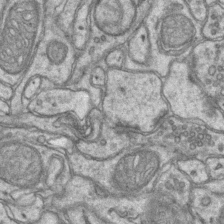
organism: Mouse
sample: CA1 Hippocampus